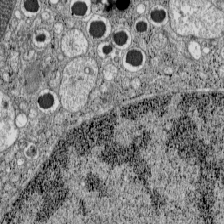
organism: C57BL Mouse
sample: Pancreatic islet